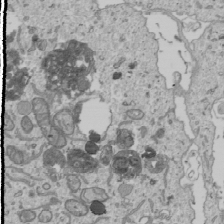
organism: Human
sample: Mitochondria in U2OS cells